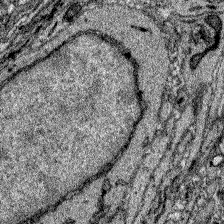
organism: Zebrafish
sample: Larval olfactory bulb